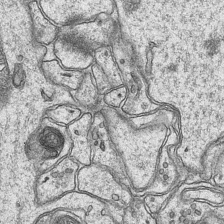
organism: Mouse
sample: CA1 Hippocampus